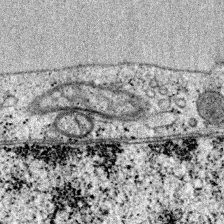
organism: Human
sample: HeLa cells